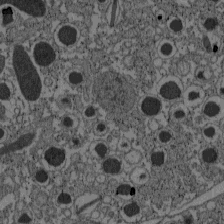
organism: C57BL Mouse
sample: Pancreatic islet